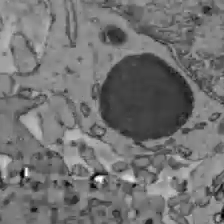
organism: C57BL Mouse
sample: Liver